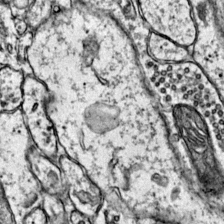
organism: Mouse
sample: Primary visual cortex